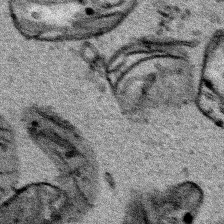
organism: Human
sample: Mitochondria in HCT116 cells